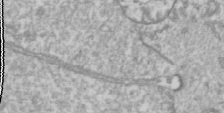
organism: Drosophila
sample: Cell division; meiosis; drosophila spermatocytes